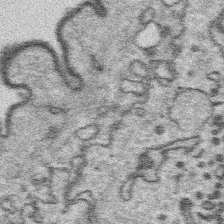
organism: Platynereis dumerilii